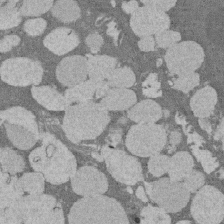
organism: Rat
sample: Salivary granule